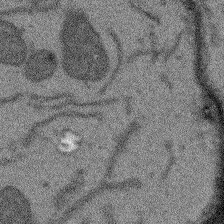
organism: Arabidopsis thaliana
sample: Root tip